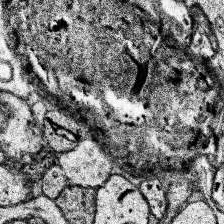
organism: Human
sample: Temporal Lobe